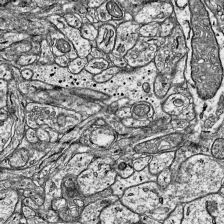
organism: Mouse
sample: Visual Cortex